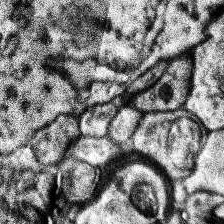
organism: Human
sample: Temporal Lobe